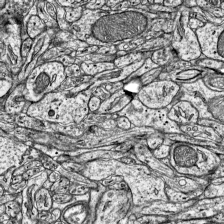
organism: Mouse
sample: Visual Cortex